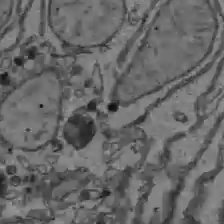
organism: C57BL Mouse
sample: Liver